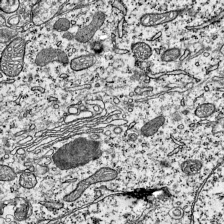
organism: Mouse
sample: Visual Cortex